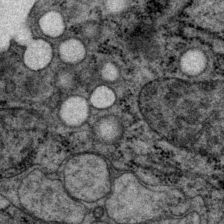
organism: P. pacificus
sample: Pharynx